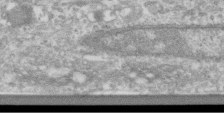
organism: Human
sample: Centriole in RPE cells